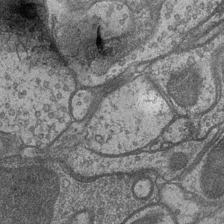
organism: Drosophila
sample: Optic medulla